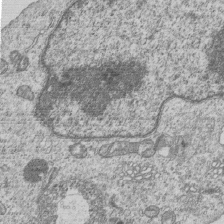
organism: Human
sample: MDA-MB-231 cells